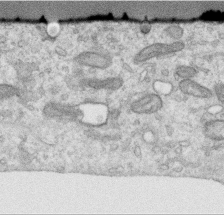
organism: Human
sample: Centriole in RPE cells